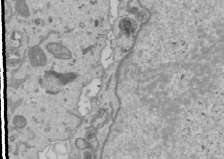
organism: Human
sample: Mitochondria in U2OS cells